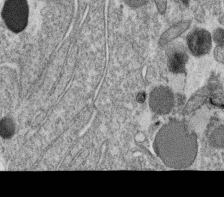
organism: C. elegans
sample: C. elegans oocyte; sperm cells